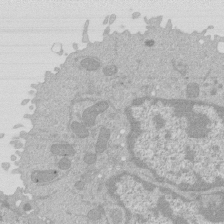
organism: Mouse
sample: Activated Pmel transgenic CD8+ T Cells